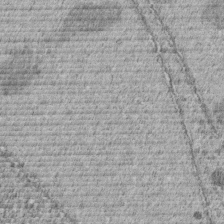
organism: C. elegans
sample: C. elegans embryo early stage